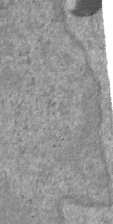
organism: Mouse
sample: ED-1 cell nuclei; centrioles